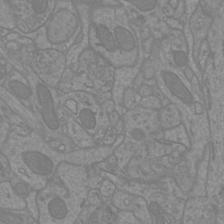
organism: Mouse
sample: Cortical neurons